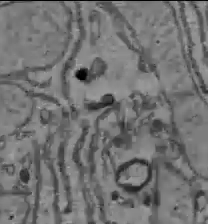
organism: C57BL Mouse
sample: Liver